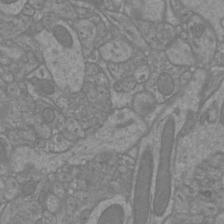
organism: Mouse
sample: Cortical neurons